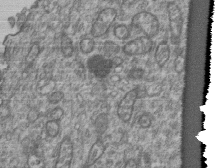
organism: Human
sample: Retinal organoid Rod and Cone cells